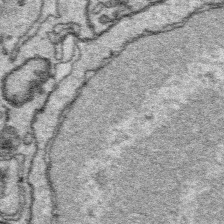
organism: Platynereis dumerilii